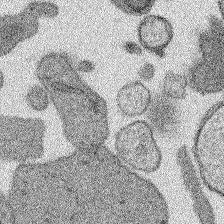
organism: Human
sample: HeLa cells